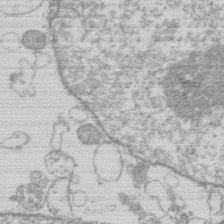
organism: Human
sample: Macrophage cells